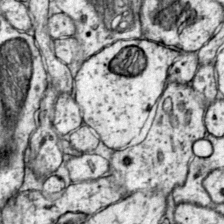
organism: Mouse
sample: Primary visual cortex